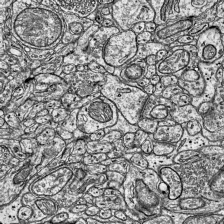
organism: Mouse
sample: Visual Cortex